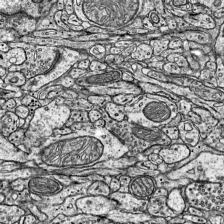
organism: Mouse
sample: Visual Cortex